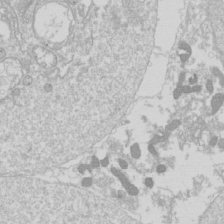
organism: Drosophila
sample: Cell division; meiosis; drosophila spermatocytes